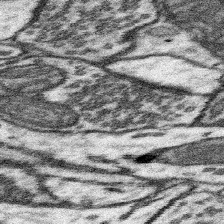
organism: Mouse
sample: Somatosensory cortex neuropil